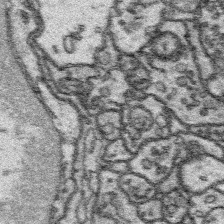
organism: Platynereis dumerilii